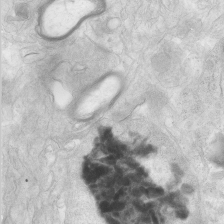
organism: Human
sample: Neocortex